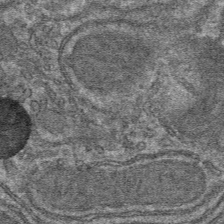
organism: Mouse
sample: Mouse hepatocytes